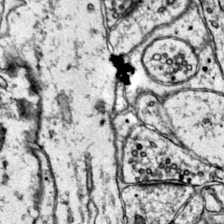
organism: Mouse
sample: Primary visual cortex